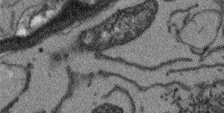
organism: Arabidopsis thaliana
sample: Root tip